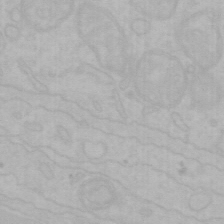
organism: Mouse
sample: Choroid plexus